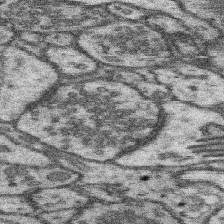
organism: Mouse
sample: Somatosensory cortex neuropil